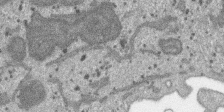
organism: Human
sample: Lung epithelial cells infected with SARS-CoV-2